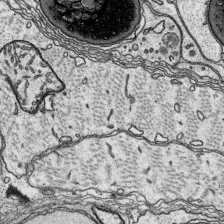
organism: Platynereis dumerilii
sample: Parapodia